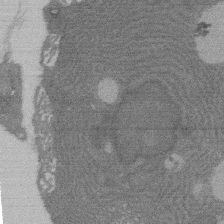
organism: Rat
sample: Salivary granule